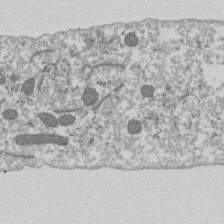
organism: Dictyostelium discoideum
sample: Dictyostelium multivesicular bodies